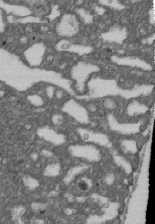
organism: Drosophila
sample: Nephrocyte